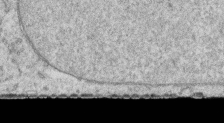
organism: Human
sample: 1205lu cells